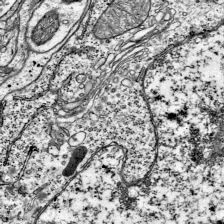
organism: Mouse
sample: Visual Cortex